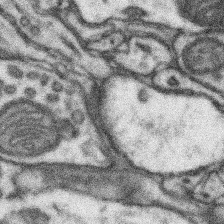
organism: Mouse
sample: Somatosensory cortex neuropil